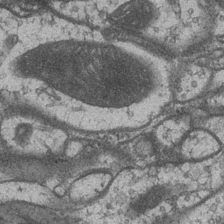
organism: Drosophila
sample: Optic medulla